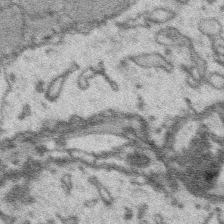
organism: Platynereis dumerilii